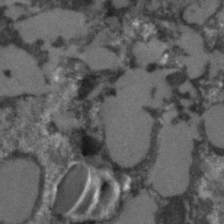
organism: C. elegans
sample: C. elegans embryo